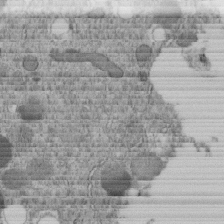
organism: C. elegans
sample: C. elegans embryo early stage